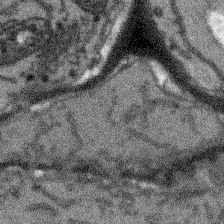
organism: Arabidopsis thaliana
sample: Root tip